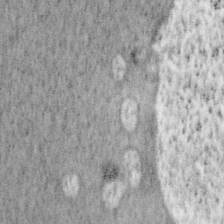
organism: Mouse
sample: OT-I killer T cells with ID8 ovarian cancer cells